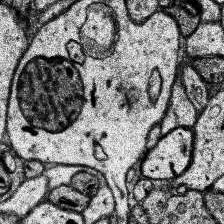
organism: Human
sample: Temporal Lobe